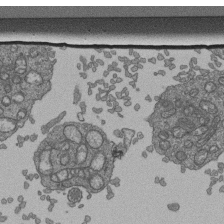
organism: Human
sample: Retinal organoid Rod and Cone cells